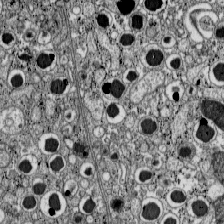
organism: C57BL Mouse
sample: Pancreatic islet